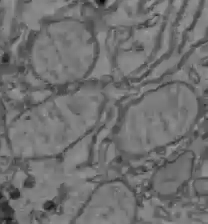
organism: C57BL Mouse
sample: Liver